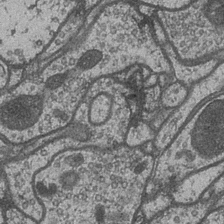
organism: Drosophila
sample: Optic medulla